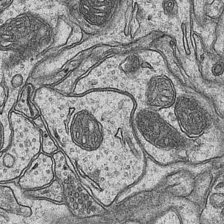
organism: Mouse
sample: CA1 Hippocampus